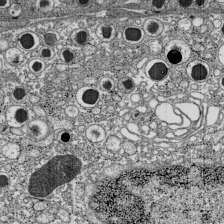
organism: C57BL Mouse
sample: Pancreatic islet